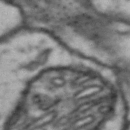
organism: Drosophila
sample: Brain